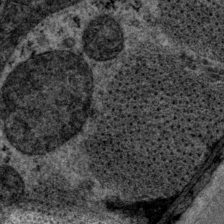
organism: P. pacificus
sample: Pharynx